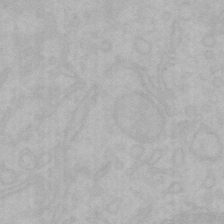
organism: Mouse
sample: Choroid plexus